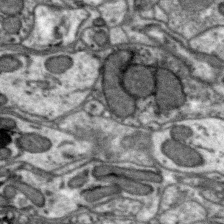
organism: Zebra finch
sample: Brain